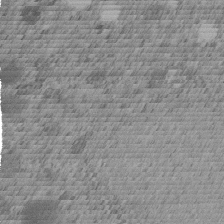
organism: C. elegans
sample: C. elegans embryo early stage